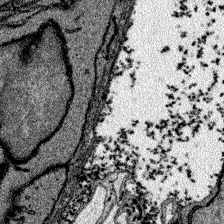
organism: Zebrafish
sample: Larval olfactory bulb